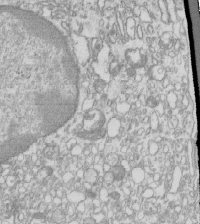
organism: Mouse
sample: Macrophages